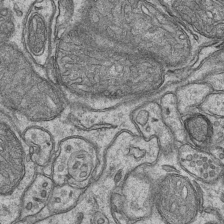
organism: Mouse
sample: CA1 Hippocampus